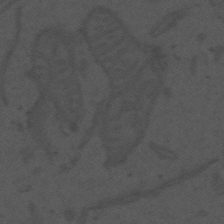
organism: Mouse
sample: Suprachiasmatic nucleus